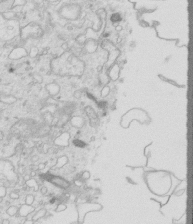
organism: Mouse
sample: Multiciliated cells